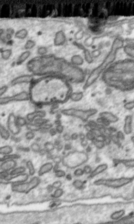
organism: Toxoplasma gondii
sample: Parasites in a vacuole inside a host cell